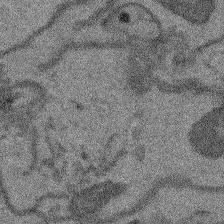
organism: Arabidopsis thaliana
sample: Root tip